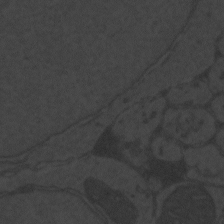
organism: Zebrafish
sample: Macrophage infected with Toxoplasma gondii